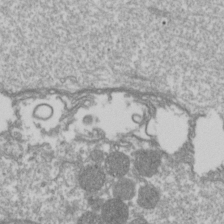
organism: Drosophila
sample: Cell division; meiosis; drosophila spermatocytes